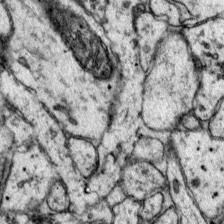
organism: Mouse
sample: Primary visual cortex